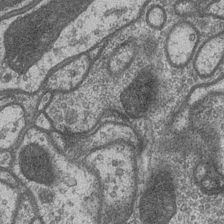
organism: Drosophila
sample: Optic medulla